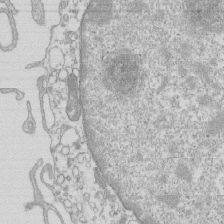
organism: Mouse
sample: Macrophages